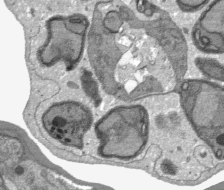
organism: Plasmodium falciparum